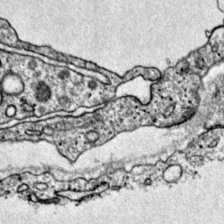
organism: Mouse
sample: Primary visual cortex